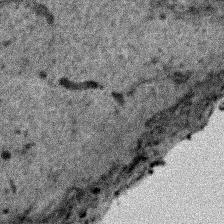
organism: Human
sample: Mitochondria in HCT116 cells